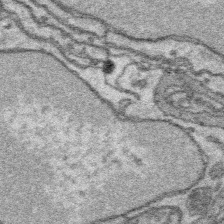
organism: Platynereis dumerilii